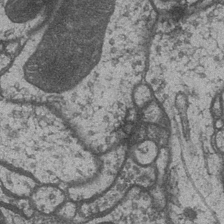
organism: Drosophila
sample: Optic medulla